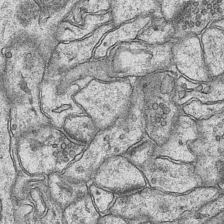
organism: Mouse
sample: CA1 Hippocampus